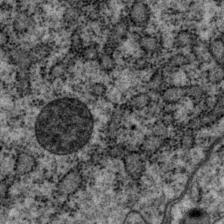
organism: P. pacificus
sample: Pharynx